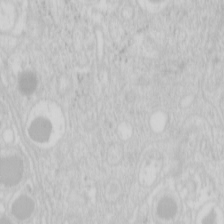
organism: Mouse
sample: Pancreas